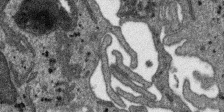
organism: Human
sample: Lung epithelial cells infected with SARS-CoV-2